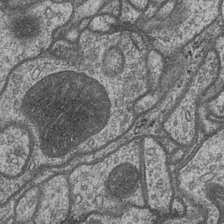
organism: Drosophila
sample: Optic medulla